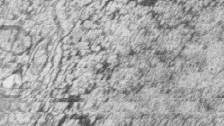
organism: Zebrafish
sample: synaptic ribbons in rod cells and cone cells